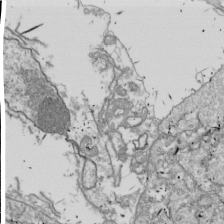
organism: Drosophila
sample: Cell division; meiosis; drosophila spermatocytes